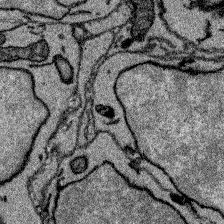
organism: Zebrafish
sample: Larval olfactory bulb